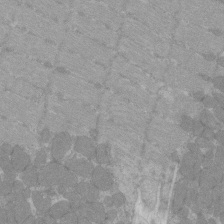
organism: C57BL Mouse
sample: Tibialis anterior muscle cell